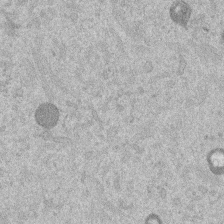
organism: Mouse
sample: Dividing mouse embryo 1 cell stage